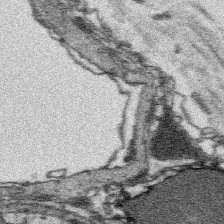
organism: Platynereis dumerilii